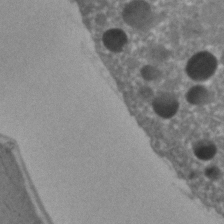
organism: C. elegans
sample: C. elegans embryo